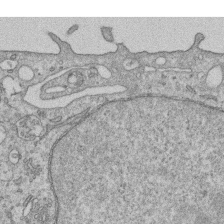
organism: Human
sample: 1205lu cells